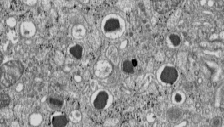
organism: C57BL Mouse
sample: Pancreatic islet